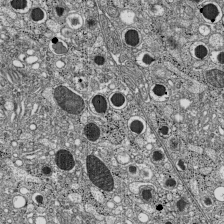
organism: C57BL Mouse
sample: Pancreatic islet